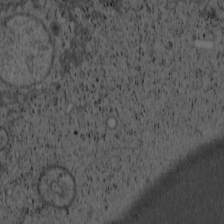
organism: African green monkey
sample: COS-7 cells